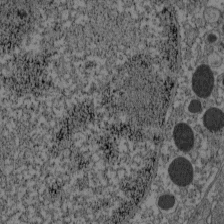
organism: C57BL Mouse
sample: Pancreatic islet